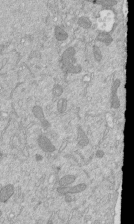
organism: Mouse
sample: ED-1 cell nuclei; centrioles